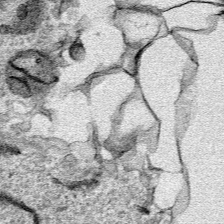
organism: Human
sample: Mitochondria in HCT116 cells